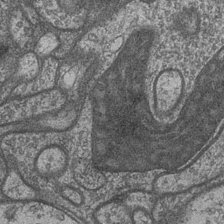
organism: Drosophila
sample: Optic medulla